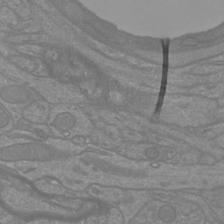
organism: Mouse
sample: Cortical neurons